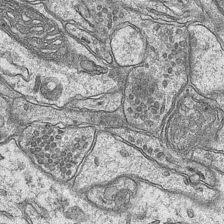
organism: Mouse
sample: CA1 Hippocampus